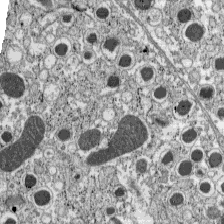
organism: C57BL Mouse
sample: Pancreatic islet